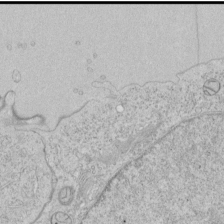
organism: Human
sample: Mitochondria in HCT116 cells